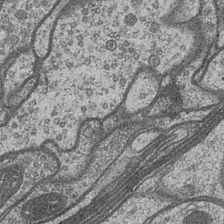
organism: Drosophila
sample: Optic medulla